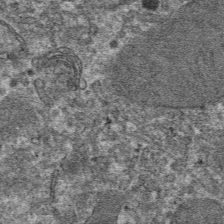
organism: Mouse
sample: Mouse hepatocytes